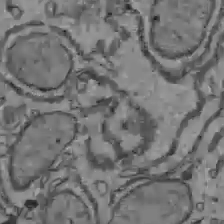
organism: C57BL Mouse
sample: Liver